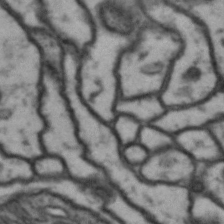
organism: Drosophila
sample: Brain